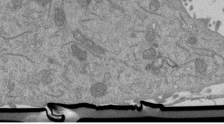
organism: Mouse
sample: ED-1 cell nuclei; centrioles